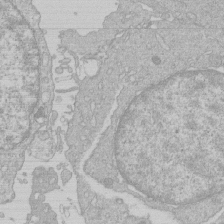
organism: Human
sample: Macrophage cells